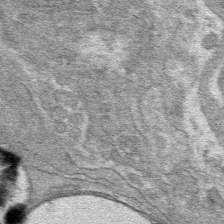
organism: Mouse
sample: Mouse hepatocytes